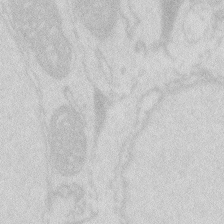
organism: Zebrafish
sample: Macrophage